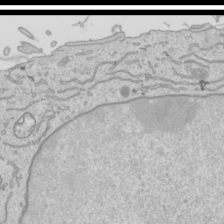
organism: Human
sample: Mitochondria in HCT116 cells